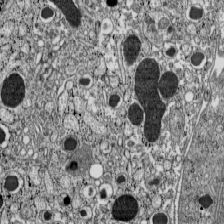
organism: C57BL Mouse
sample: Pancreatic islet